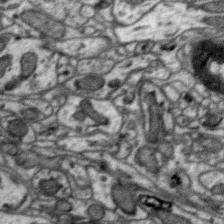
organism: Zebra finch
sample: Brain